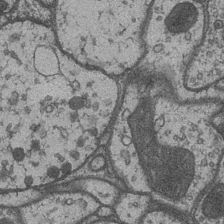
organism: Drosophila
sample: Optic medulla